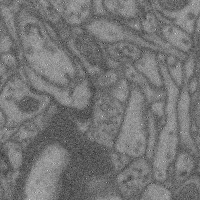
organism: Mouse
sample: Cerebral cortex